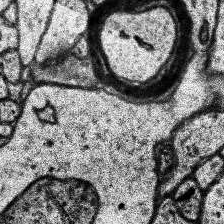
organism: Human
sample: Temporal Lobe